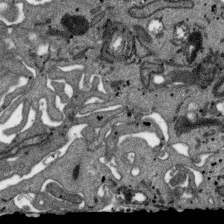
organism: Human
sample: Lung epithelial cells, uninfected (mock) control